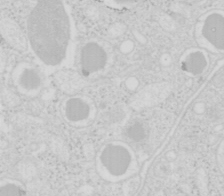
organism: Mouse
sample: Pancreas